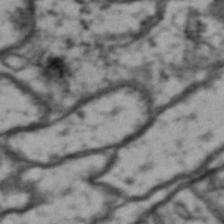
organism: Drosophila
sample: Brain